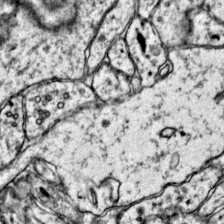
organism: Mouse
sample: Primary visual cortex